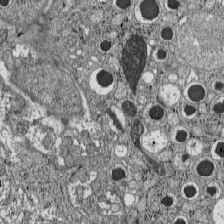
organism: C57BL Mouse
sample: Pancreatic islet